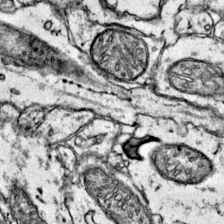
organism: Mouse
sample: Primary visual cortex